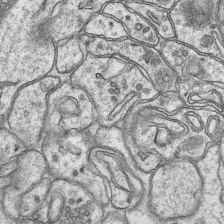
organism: Mouse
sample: CA1 Hippocampus